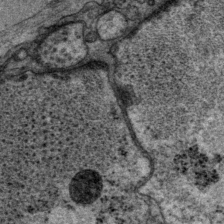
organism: P. pacificus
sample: Pharynx